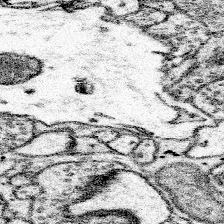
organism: Mouse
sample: Somatosensory cortex neuropil